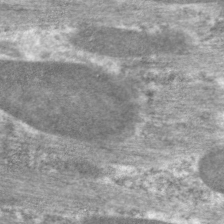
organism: C. elegans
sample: Pharynx